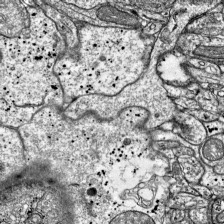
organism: Mouse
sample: Visual Cortex